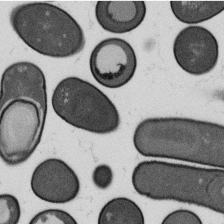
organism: B. subtilis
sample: Bacterial spore